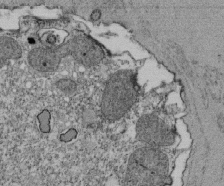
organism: Tetrahymena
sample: Cilia in tetrahymena